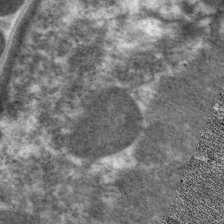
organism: C. elegans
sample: Pharynx